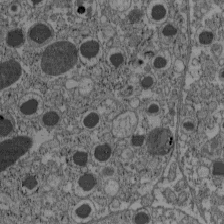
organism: C57BL Mouse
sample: Pancreatic islet